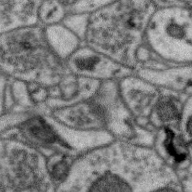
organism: Zebra finch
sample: Brain